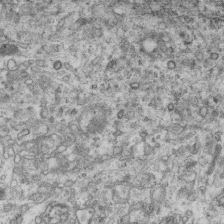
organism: Mouse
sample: Centriole in ependymal cells